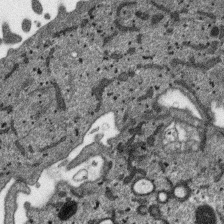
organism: Human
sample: Lung epithelial cells infected with SARS-CoV-2